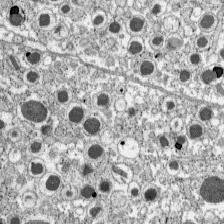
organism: C57BL Mouse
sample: Pancreatic islet